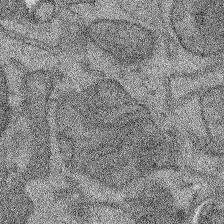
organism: Human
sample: HeLa cells